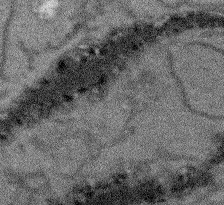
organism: Arabidopsis thaliana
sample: Root tip